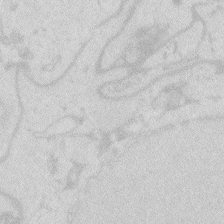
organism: Zebrafish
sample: Macrophage